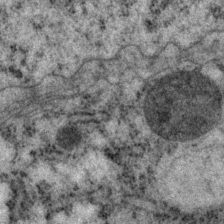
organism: P. pacificus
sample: Pharynx